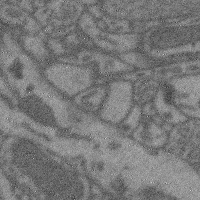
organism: Mouse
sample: Cerebral cortex